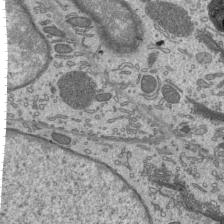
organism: Mouse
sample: Mouse epididymis efferent ductule cilia